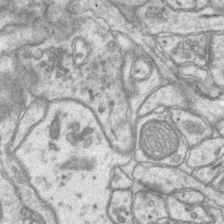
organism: Mouse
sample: CA1 Hippocampus